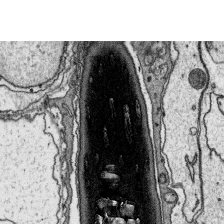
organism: Platynereis dumerilii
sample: Parapodia